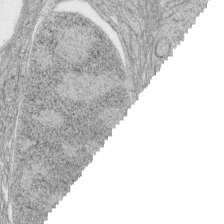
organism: Zebrafish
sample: synaptic ribbons in rod cells and cone cells